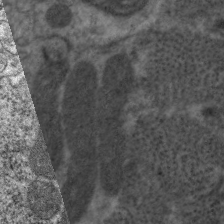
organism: C. elegans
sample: Pharynx